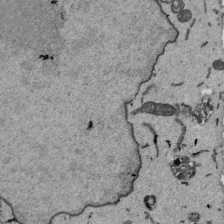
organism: Mouse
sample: ED-1 cell nuclei; centrioles